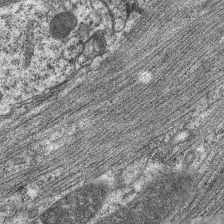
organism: C. elegans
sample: Pharynx